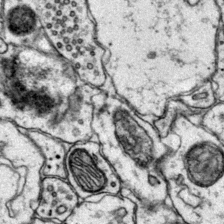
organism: Mouse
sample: Primary visual cortex